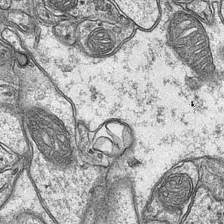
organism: Mouse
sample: CA1 Hippocampus